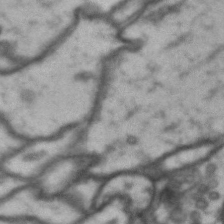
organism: Drosophila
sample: Brain